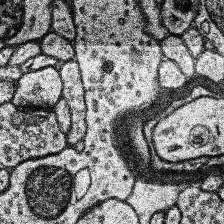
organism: Human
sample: Temporal Lobe